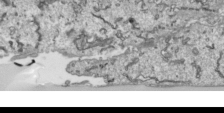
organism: Human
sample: Mitochondria in HCT116 cells